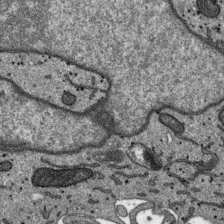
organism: Human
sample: Lung epithelial cells, uninfected (mock) control